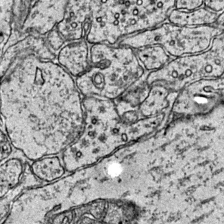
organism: Mouse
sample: Primary visual cortex